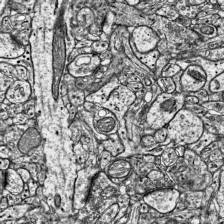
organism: Mouse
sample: Visual Cortex